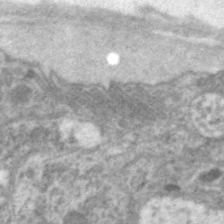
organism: C. elegans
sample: Pharynx